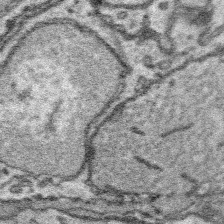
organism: Platynereis dumerilii